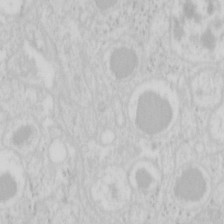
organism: Mouse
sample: Pancreas